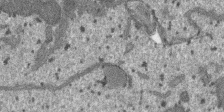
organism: Human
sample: Lung epithelial cells infected with SARS-CoV-2